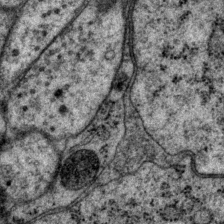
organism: P. pacificus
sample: Pharynx